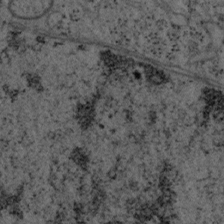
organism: Human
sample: HeLa cells